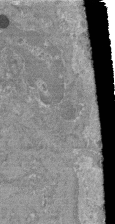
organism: Mouse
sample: Glomerulus